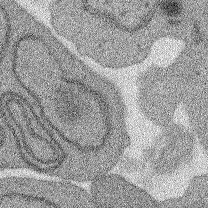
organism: Human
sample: HeLa cells